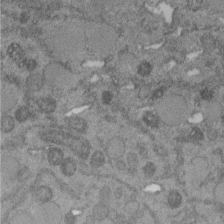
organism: C. elegans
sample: C. elegans embryo early stage